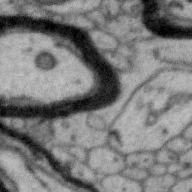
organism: Zebra finch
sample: Brain